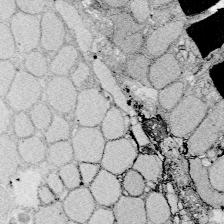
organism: Zebrafish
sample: Whole-Brain